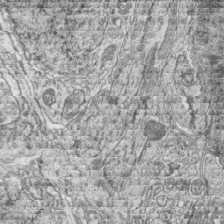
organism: Zebrafish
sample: synaptic ribbons in rod cells and cone cells